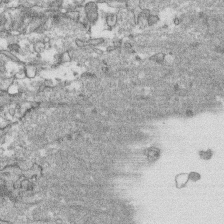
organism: Human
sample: CRL-1474